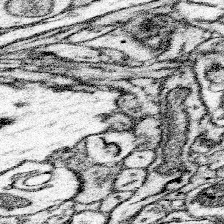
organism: Mouse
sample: Somatosensory cortex neuropil